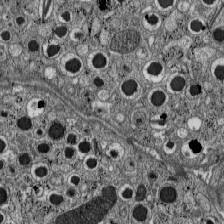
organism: C57BL Mouse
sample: Pancreatic islet